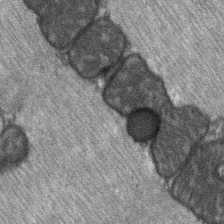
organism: C57BL Mouse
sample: Soleus